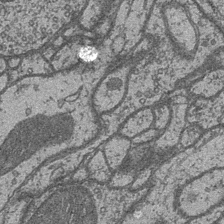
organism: Drosophila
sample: Optic medulla